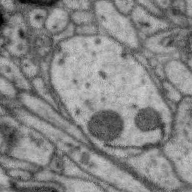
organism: Zebra finch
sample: Brain